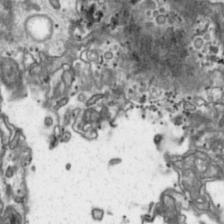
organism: Toxoplasma gondii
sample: Parasites in a vacuole inside a host cell